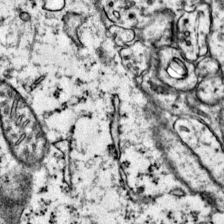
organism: Mouse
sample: Primary visual cortex